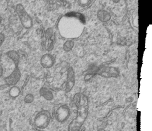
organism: Human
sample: MDA-MB-231 cells